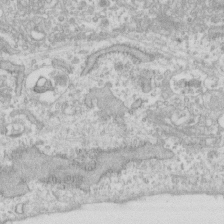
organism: Human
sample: Fibroblast cells